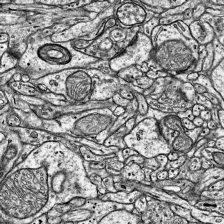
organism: Mouse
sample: Visual Cortex